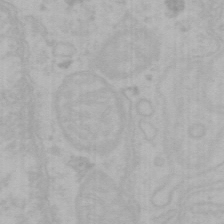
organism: Mouse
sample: Choroid plexus